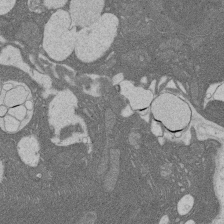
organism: Rat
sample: Salivary granule